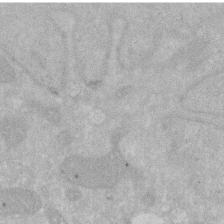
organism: Human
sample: HIV infected U937 cells